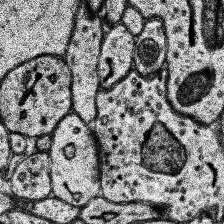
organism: Human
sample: Temporal Lobe